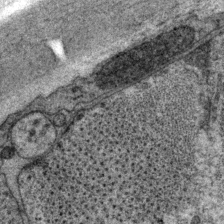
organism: P. pacificus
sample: Pharynx